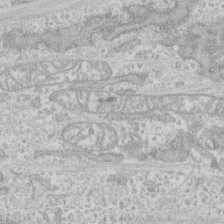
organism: Human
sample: CRL-1474